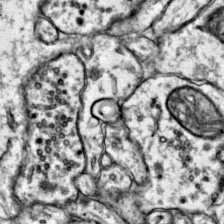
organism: Mouse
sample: Primary visual cortex